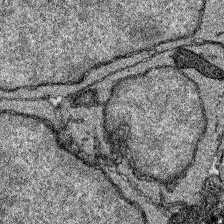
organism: Zebrafish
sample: Larval olfactory bulb